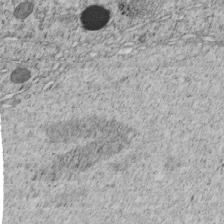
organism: C. elegans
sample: C. elegans embryo early stage